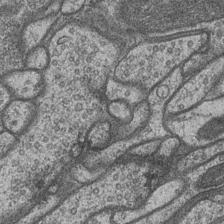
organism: Drosophila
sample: Optic medulla